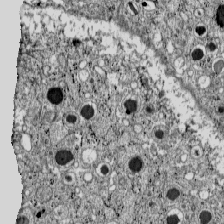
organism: C57BL Mouse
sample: Pancreatic islet